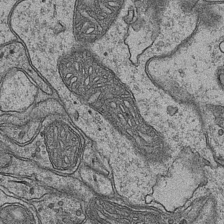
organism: Mouse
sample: CA1 Hippocampus